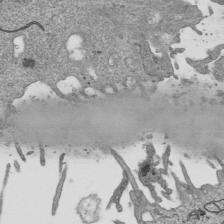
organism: Human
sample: Mitochondria in HCT116 cells